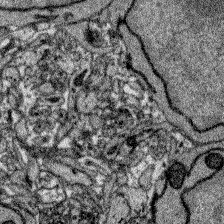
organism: Zebrafish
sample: Larval olfactory bulb